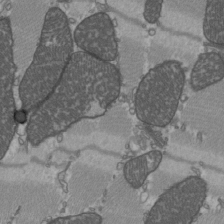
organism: C57BL Mouse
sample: Heart